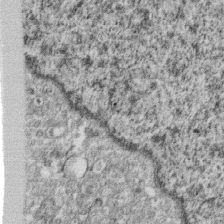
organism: African green monkey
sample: Vero E6 cells infected with SARS-CoV-2